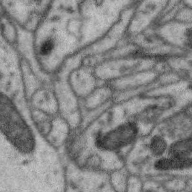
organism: Zebra finch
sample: Brain